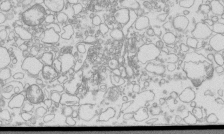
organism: Mouse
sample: Macrophages